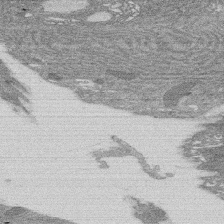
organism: Rat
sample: Salivary granule